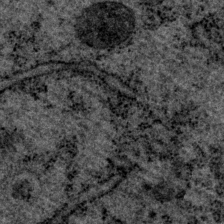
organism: P. pacificus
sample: Pharynx